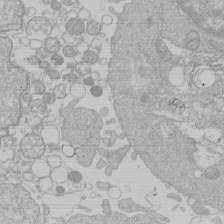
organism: Human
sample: Macrophage cells